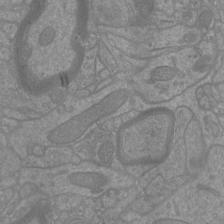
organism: Mouse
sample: Cortical neurons